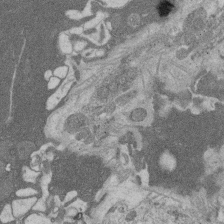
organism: Rat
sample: Salivary granule